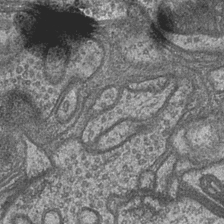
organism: Drosophila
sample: Optic medulla